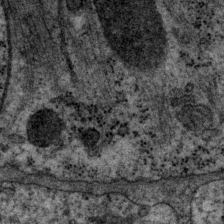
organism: P. pacificus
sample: Pharynx